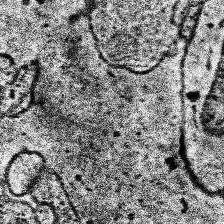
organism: Human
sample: Temporal Lobe